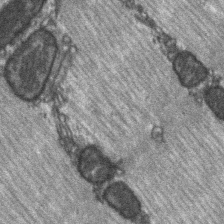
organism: C57BL Mouse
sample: Soleus